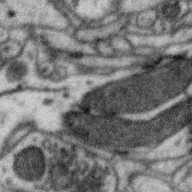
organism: Zebra finch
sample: Brain